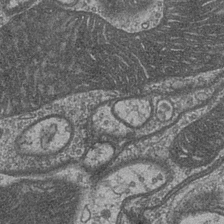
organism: Drosophila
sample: Optic medulla